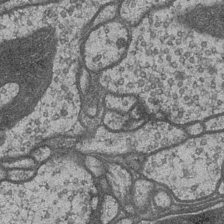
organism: Drosophila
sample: Optic medulla